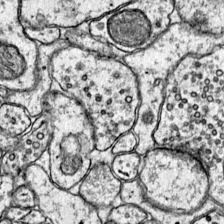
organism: Mouse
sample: Primary visual cortex